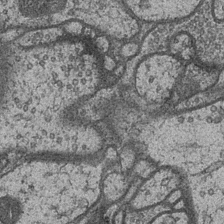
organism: Drosophila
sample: Optic medulla